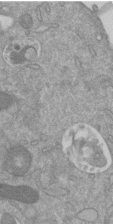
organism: Mouse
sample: ED-1 cell nuclei; centrioles